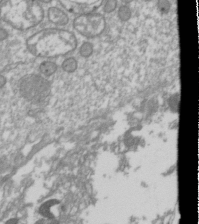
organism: Drosophila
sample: Cell division; meiosis; drosophila spermatocytes